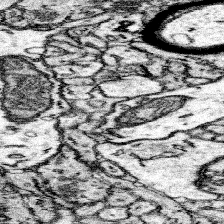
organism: Mouse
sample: Somatosensory cortex neuropil